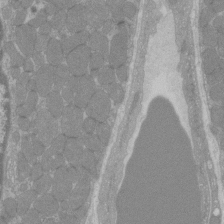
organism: C57BL Mouse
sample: Tibialis anterior muscle cell